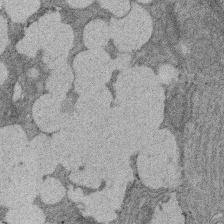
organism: Rat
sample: Salivary granule